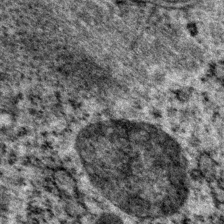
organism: P. pacificus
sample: Pharynx